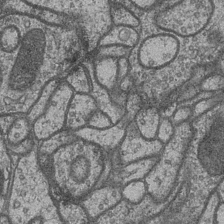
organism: Drosophila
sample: Optic medulla